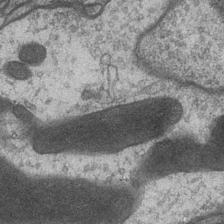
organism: Drosophila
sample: Optic medulla